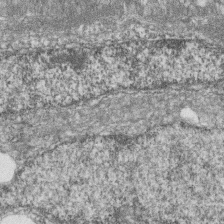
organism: Zebrafish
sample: Cilia; retinal pigment epithelium